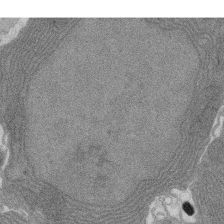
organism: Rat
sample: Salivary granule